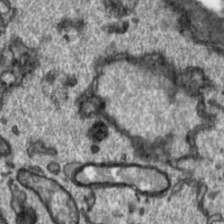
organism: Toxoplasma gondii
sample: Parasites in a vacuole inside a host cell